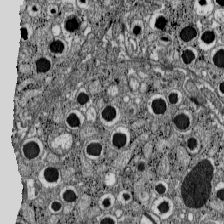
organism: C57BL Mouse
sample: Pancreatic islet